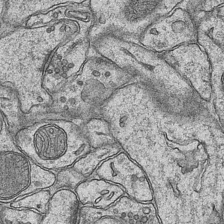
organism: Mouse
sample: CA1 Hippocampus